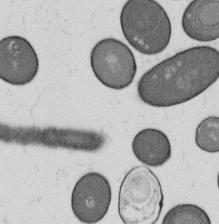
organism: B. subtilis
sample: Bacterial spore